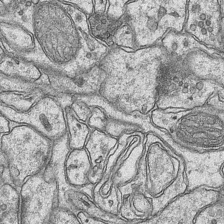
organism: Mouse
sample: CA1 Hippocampus